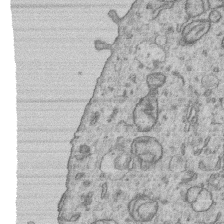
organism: Human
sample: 1205lu cells